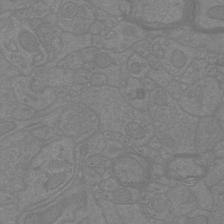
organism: Mouse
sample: Cortical neurons